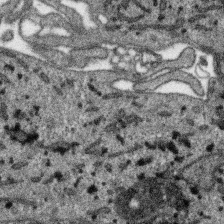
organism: Human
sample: Lung epithelial cells infected with SARS-CoV-2